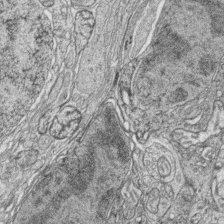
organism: Zebrafish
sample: synaptic ribbons in rod cells and cone cells